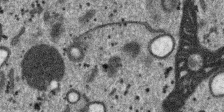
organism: Human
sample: Lung epithelial cells infected with SARS-CoV-2